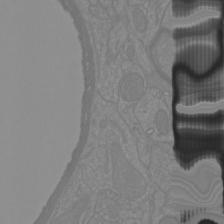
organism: Mouse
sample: Cortical neurons